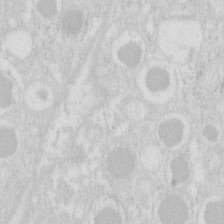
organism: Mouse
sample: Pancreas